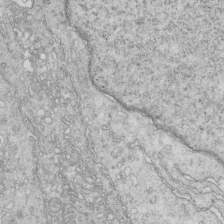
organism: Mouse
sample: Multiciliated cells